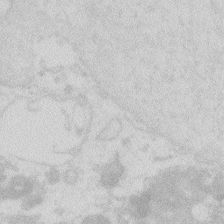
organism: Zebrafish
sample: Macrophage